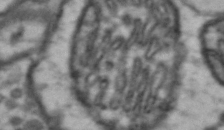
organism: Drosophila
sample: Brain